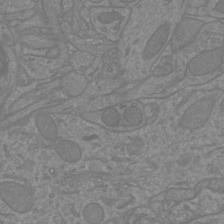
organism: Mouse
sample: Cortical neurons